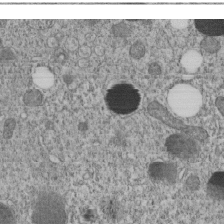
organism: C. elegans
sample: C. elegans embryo early stage